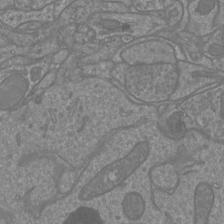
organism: Mouse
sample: Cortical neurons